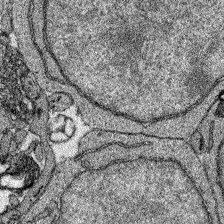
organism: Zebrafish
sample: Larval olfactory bulb